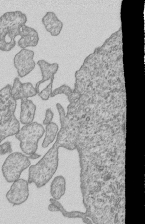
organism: Human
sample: MDA-MB-231 cells